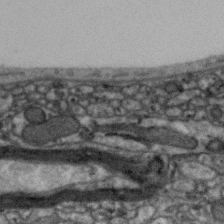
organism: Zebra finch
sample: Brain